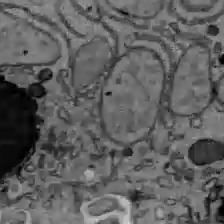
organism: C57BL Mouse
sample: Liver